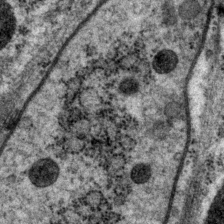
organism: P. pacificus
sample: Pharynx